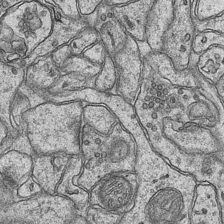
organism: Mouse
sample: CA1 Hippocampus